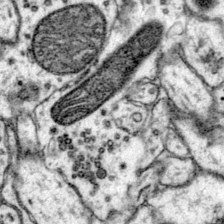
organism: Mouse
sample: Primary visual cortex